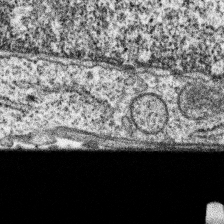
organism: Human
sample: HeLa cells